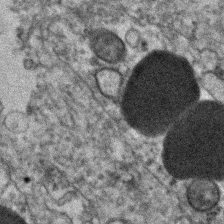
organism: Human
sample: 1205lu cells